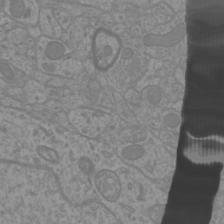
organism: Mouse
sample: Cortical neurons